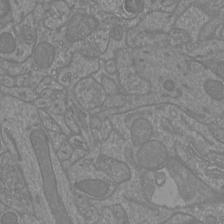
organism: Mouse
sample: Cortical neurons